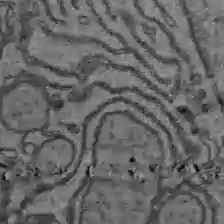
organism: C57BL Mouse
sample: Liver